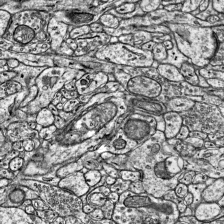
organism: Mouse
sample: Visual Cortex